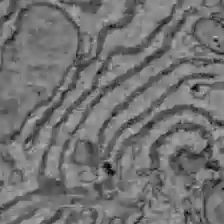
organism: C57BL Mouse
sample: Liver